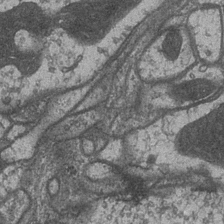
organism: Drosophila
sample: Optic medulla